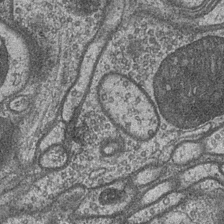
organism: Drosophila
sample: Optic medulla